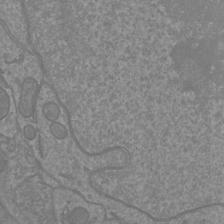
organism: Mouse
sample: Cortical neurons